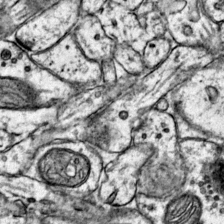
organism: Mouse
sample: Primary visual cortex